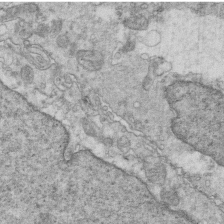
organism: Mouse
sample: Multiciliated cells